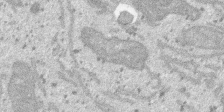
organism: Human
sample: Lung epithelial cells infected with SARS-CoV-2